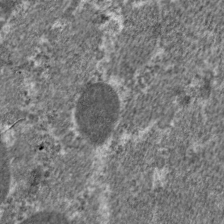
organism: C. elegans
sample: Pharynx